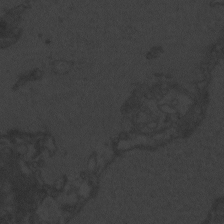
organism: Zebrafish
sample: Macrophage infected with Toxoplasma gondii